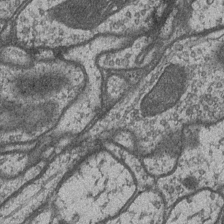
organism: Drosophila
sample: Optic medulla